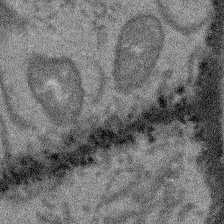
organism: Arabidopsis thaliana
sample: Root tip